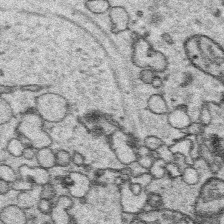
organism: Platynereis dumerilii